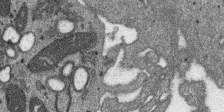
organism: Human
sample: Lung epithelial cells infected with SARS-CoV-2